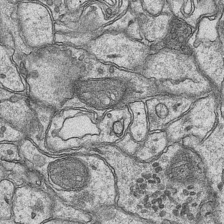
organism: Mouse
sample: CA1 Hippocampus